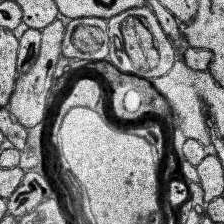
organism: Human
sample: Temporal Lobe